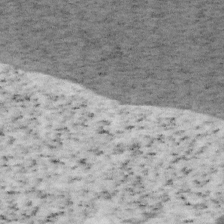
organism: Mouse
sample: OT-I killer T cells with ID8 ovarian cancer cells